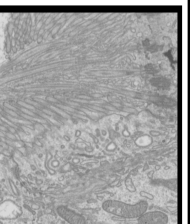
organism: Mouse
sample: Cilia; mouse epididymis